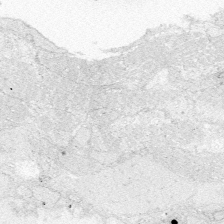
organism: Zebrafish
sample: Whole-Brain